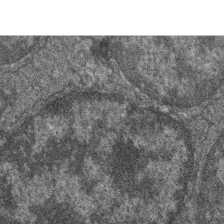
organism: Zebrafish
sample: Cilia; retinal pigment epithelium